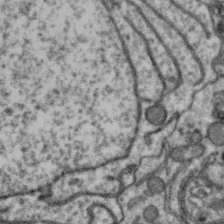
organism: Zebra finch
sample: Brain